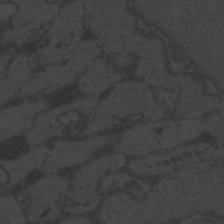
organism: Zebrafish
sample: Macrophage infected with Toxoplasma gondii